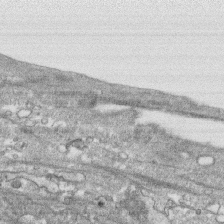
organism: Human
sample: CRL-1474